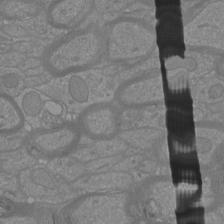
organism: Mouse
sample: Cortical neurons